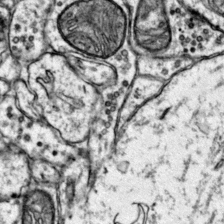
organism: Mouse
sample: Primary visual cortex